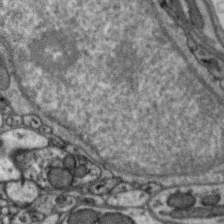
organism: Zebra finch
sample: Brain